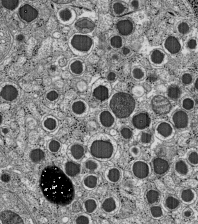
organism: C57BL Mouse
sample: Pancreatic islet